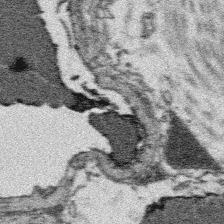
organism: Platynereis dumerilii